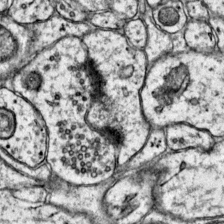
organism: Mouse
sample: Primary visual cortex